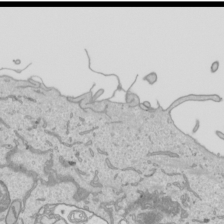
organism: Human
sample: Mitochondria in HCT116 cells